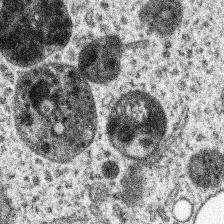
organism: Human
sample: HeLa cells